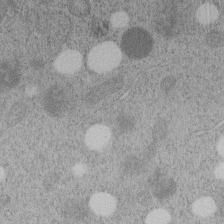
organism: C. elegans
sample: C. elegans embryo early stage